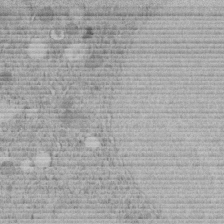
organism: C. elegans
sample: C. elegans embryo early stage